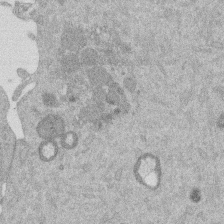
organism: Mouse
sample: Dividing mouse embryo 1 cell stage